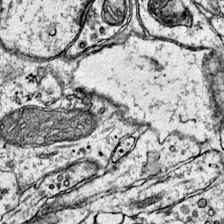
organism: Mouse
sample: Primary visual cortex